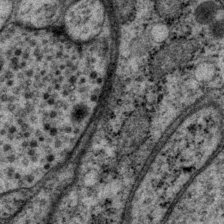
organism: P. pacificus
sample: Pharynx